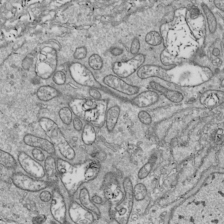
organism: Drosophila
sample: Cell division; meiosis; drosophila spermatocytes